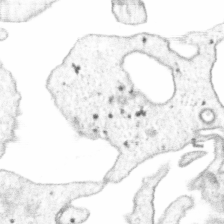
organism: Human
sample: HeLa cells